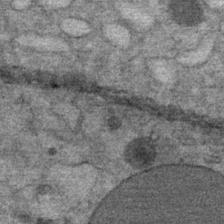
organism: Mouse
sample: Mouse Salivary gland